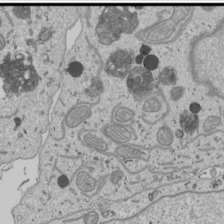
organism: Human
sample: Mitochondria in U2OS cells